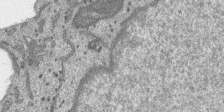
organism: Human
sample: Lung epithelial cells infected with SARS-CoV-2